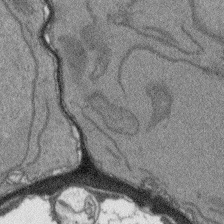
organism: Arabidopsis thaliana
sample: Root tip